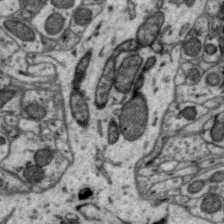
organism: Zebra finch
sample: Brain